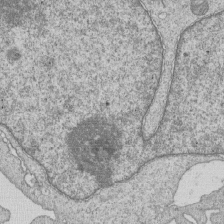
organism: Human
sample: MDA-MB-231 cells